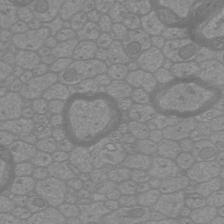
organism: Mouse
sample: Cortical neurons